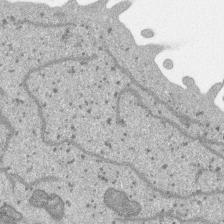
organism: Human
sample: Lung epithelial cells infected with SARS-CoV-2